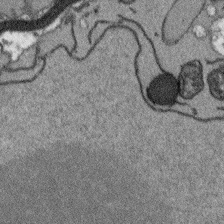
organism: Arabidopsis thaliana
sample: Root tip